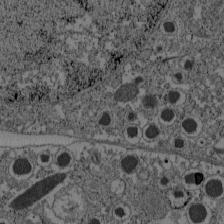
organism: C57BL Mouse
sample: Pancreatic islet